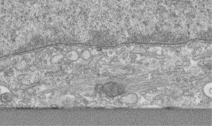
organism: Human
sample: Centriole in RPE cells